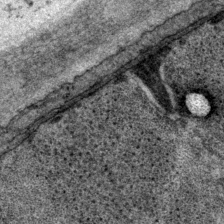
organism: P. pacificus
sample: Pharynx